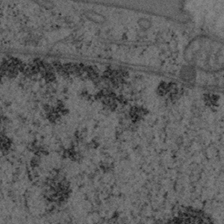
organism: Human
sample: HeLa cells